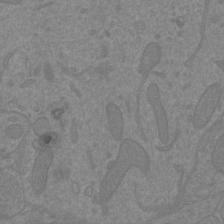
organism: Mouse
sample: Cortical neurons